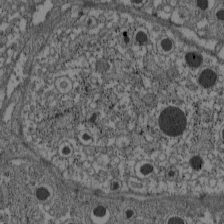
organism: C57BL Mouse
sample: Pancreatic islet